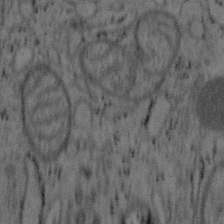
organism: Human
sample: HeLa cells